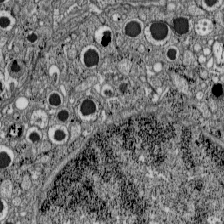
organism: C57BL Mouse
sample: Pancreatic islet